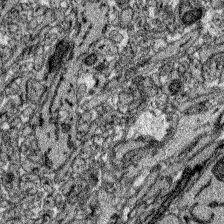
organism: Zebrafish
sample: Larval olfactory bulb